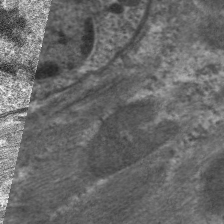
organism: C. elegans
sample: Pharynx